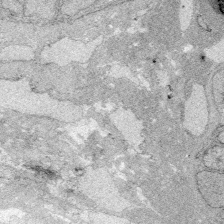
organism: Zebrafish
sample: Whole-Brain